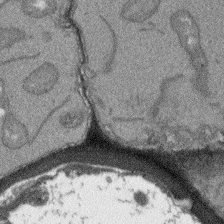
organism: Arabidopsis thaliana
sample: Root tip